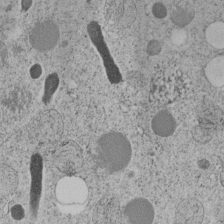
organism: C. elegans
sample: C. elegans embryo early stage